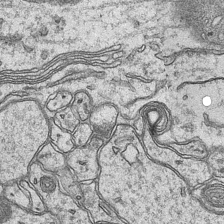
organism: Mouse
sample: CA1 Hippocampus